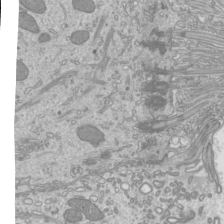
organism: Mouse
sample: Cilia; mouse epididymis